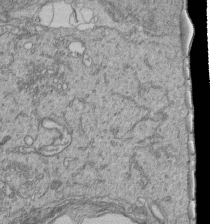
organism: Human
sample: Retinal organoid Rod and Cone cells